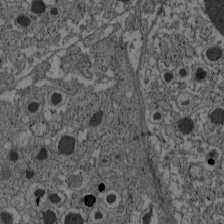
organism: C57BL Mouse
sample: Pancreatic islet